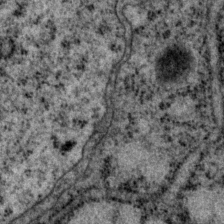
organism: P. pacificus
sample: Pharynx